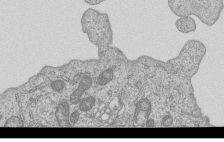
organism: Human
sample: MDA-MB-231 cells